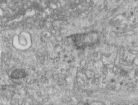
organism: Human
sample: Centriole in RPE cells